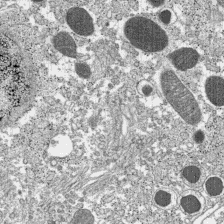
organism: C57BL Mouse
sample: Pancreatic islet